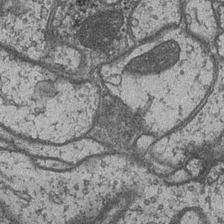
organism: Drosophila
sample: Optic medulla